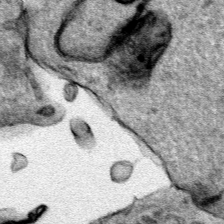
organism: Human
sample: Mitochondria in HCT116 cells